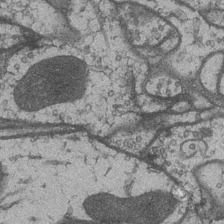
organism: Drosophila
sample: Optic medulla